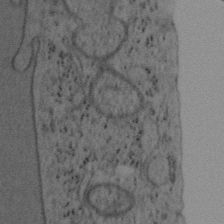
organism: Human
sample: HeLa cells